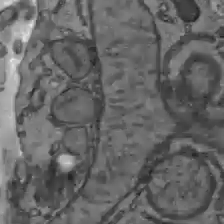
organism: C57BL Mouse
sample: Liver